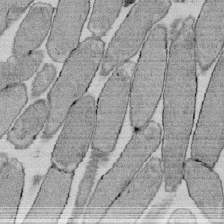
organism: E. coli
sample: Bacterial nucleoid